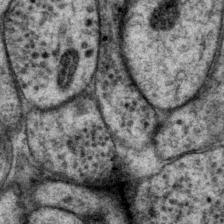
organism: P. pacificus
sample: Pharynx